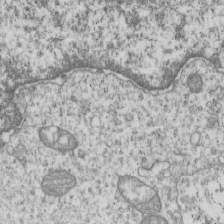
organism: Human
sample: MDA-MB-231 cells